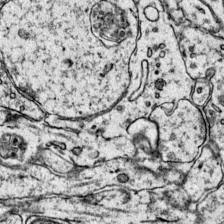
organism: Mouse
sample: Primary visual cortex